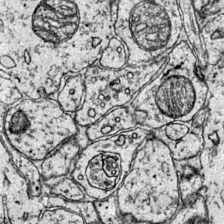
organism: Mouse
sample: Primary visual cortex